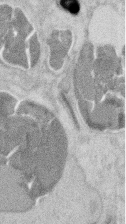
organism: Mouse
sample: T cell stromal cell synapse